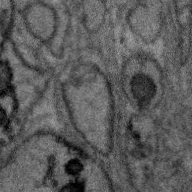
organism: Zebra finch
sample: Brain